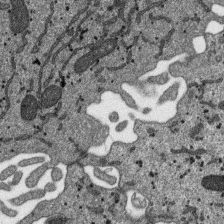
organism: Human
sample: Lung epithelial cells infected with SARS-CoV-2